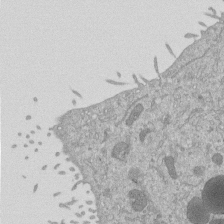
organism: Mouse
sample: ED-1 cell nuclei; centrioles